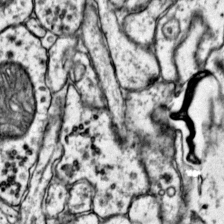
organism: Mouse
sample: Primary visual cortex